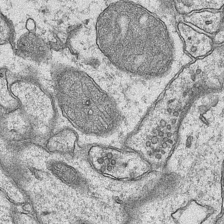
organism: Mouse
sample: CA1 Hippocampus